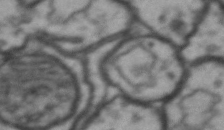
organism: Drosophila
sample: Brain